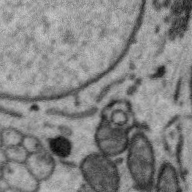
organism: Zebra finch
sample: Brain